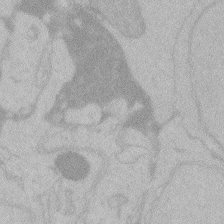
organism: Zebrafish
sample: Macrophage infected with Toxoplasma gondii